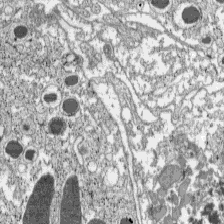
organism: C57BL Mouse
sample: Pancreatic islet